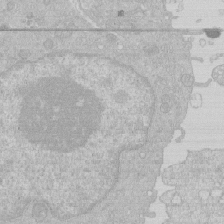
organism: Human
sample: Macrophage cells